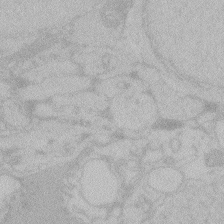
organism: Zebrafish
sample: Macrophage infected with Toxoplasma gondii